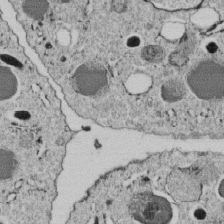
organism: C. elegans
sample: C. elegans embryo early stage